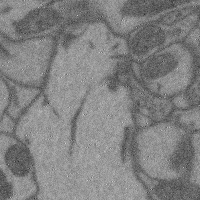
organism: Mouse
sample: Cerebral cortex